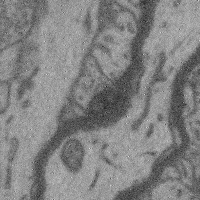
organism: Mouse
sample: Cerebral cortex